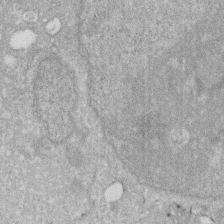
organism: Human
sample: HIV infected U937 cells